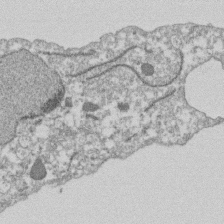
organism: Dictyostelium discoideum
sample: Dictyostelium multivesicular bodies